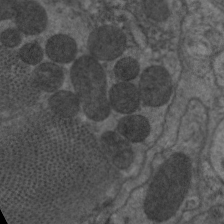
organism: C. elegans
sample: Pharynx